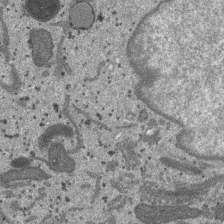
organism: Human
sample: Lung epithelial cells infected with SARS-CoV-2